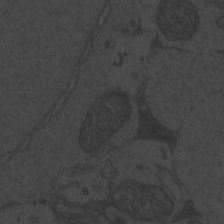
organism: Zebrafish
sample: Macrophage infected with Toxoplasma gondii